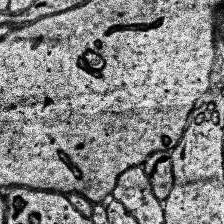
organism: Human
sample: Temporal Lobe